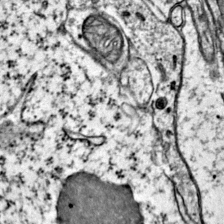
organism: Mouse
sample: Primary visual cortex